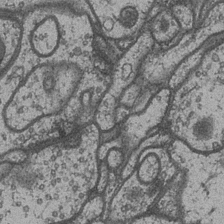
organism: Drosophila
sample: Optic medulla